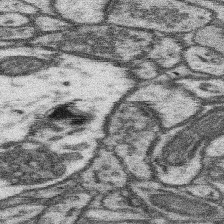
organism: Mouse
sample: Somatosensory cortex neuropil